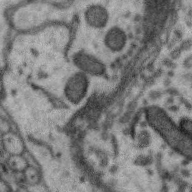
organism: Zebra finch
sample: Brain